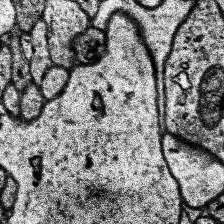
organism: Human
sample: Temporal Lobe